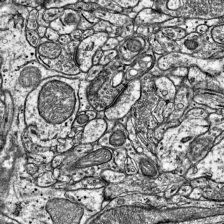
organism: Mouse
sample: Visual Cortex